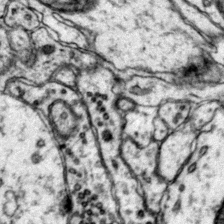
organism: Mouse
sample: Primary visual cortex